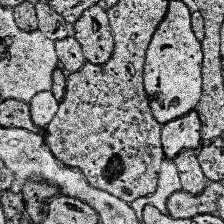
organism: Human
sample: Temporal Lobe